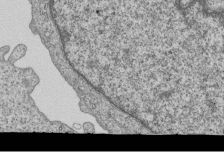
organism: Human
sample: MDA-MB-231 cells